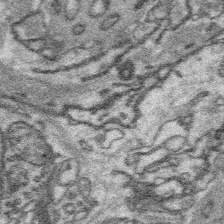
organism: Platynereis dumerilii